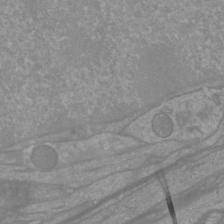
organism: Mouse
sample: Cortical neurons